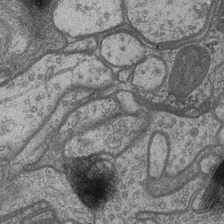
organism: Drosophila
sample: Optic medulla